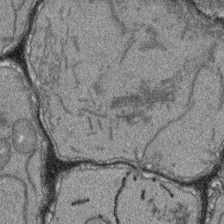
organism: Arabidopsis thaliana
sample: Root tip